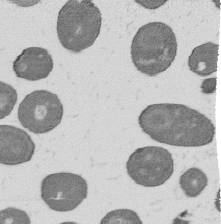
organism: B. subtilis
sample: Bacterial spore